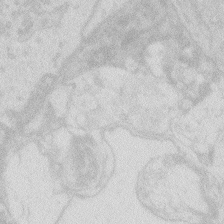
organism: Zebrafish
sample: Macrophage